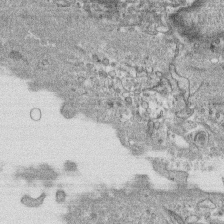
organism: Human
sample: CRL-1474